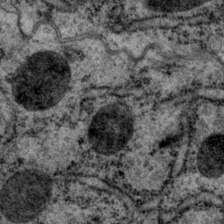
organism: P. pacificus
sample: Pharynx